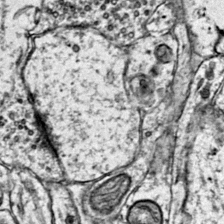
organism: Mouse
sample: Primary visual cortex